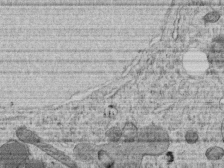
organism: C. elegans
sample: C. elegans embryo early stage